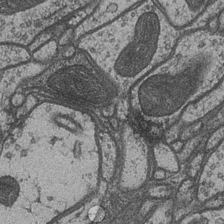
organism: Drosophila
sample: Optic medulla